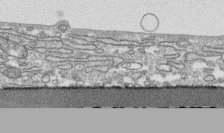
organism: Human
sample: CRL-1474